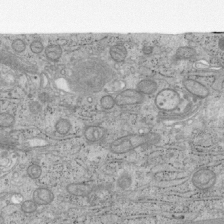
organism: Human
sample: HeLa cells